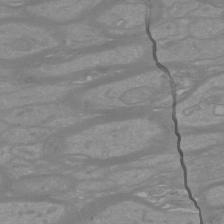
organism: Mouse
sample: Cortical neurons